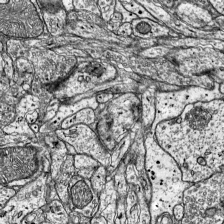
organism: Mouse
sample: Visual Cortex